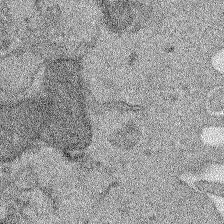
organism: Human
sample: HeLa cells